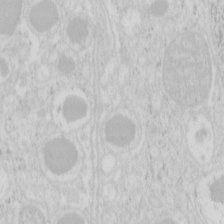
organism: Mouse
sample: Pancreas